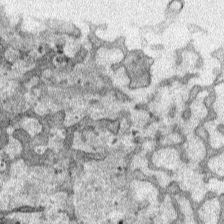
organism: Human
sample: Mitochondria in HCT116 cells